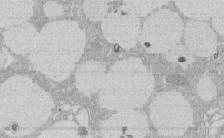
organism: Rat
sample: Salivary granule